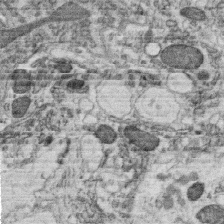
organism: C. elegans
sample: C. elegans oocyte; sperm cells